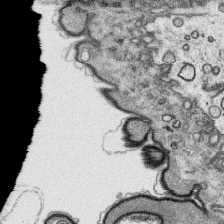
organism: Platynereis dumerilii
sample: Parapodia